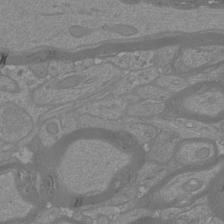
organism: Mouse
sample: Cortical neurons